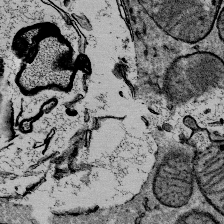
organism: Mouse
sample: Mouse Salivary gland